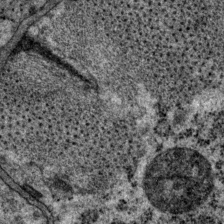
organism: P. pacificus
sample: Pharynx